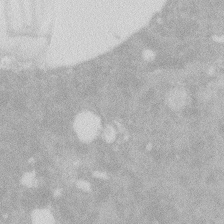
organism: Zebrafish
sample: Macrophage